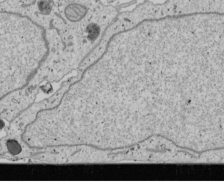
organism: Human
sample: Mitochondria in U2OS cells